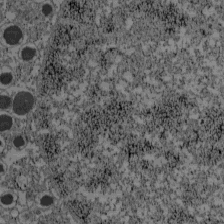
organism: C57BL Mouse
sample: Pancreatic islet